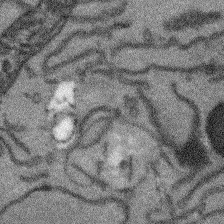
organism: Arabidopsis thaliana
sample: Root tip